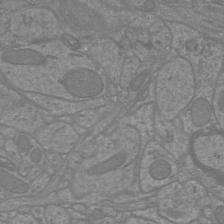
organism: Mouse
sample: Cortical neurons